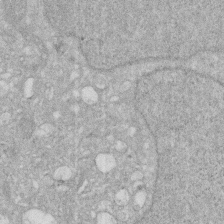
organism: Human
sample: HIV infected U937 cells